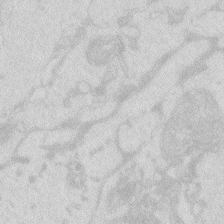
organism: Zebrafish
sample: Macrophage